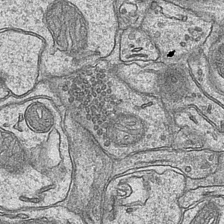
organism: Mouse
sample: CA1 Hippocampus